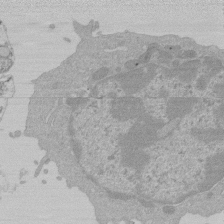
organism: Mouse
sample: Activated Pmel transgenic CD8+ T Cells